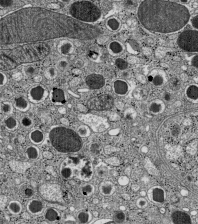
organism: C57BL Mouse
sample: Pancreatic islet